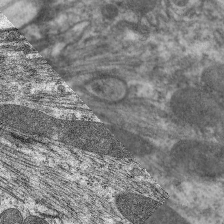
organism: C. elegans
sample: Pharynx